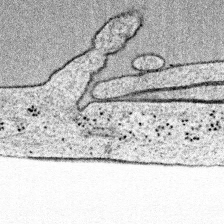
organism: Human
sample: HeLa cells